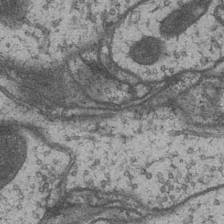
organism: Drosophila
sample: Optic medulla